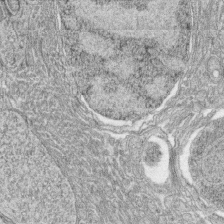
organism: Zebrafish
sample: synaptic ribbons in rod cells and cone cells